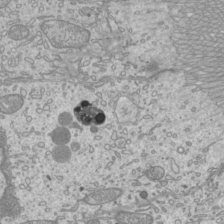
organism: Mouse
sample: Cilia; mouse epididymis